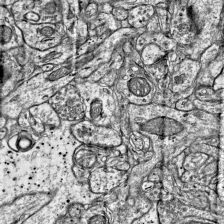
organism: Mouse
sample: Visual Cortex